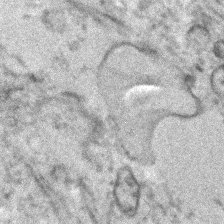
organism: Human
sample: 1205lu cells